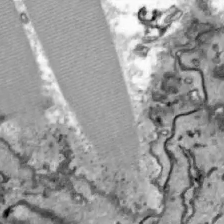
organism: Zebrafish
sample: Actinotrichia fibers